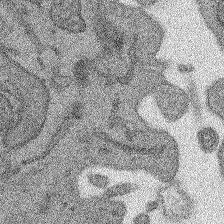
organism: Human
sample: HeLa cells